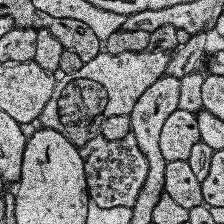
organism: Human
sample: Temporal Lobe